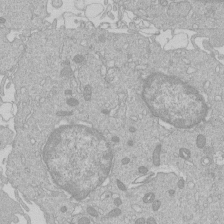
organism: Human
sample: Macrophage cells